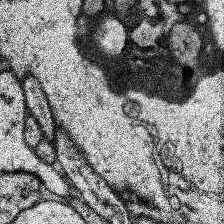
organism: Human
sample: Temporal Lobe